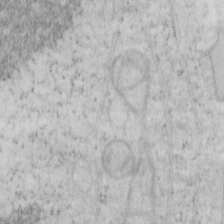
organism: Human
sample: HeLa cells